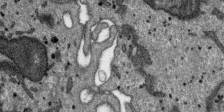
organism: Human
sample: Lung epithelial cells, uninfected (mock) control